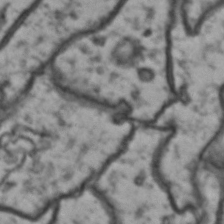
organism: Drosophila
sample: Brain